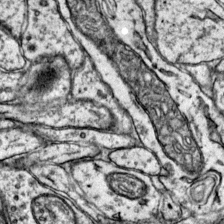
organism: Mouse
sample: Primary visual cortex